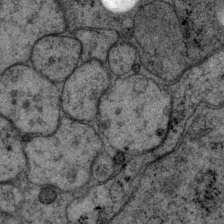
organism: P. pacificus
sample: Pharynx